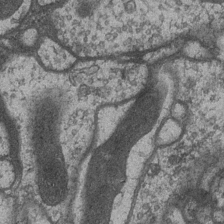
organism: Drosophila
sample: Optic medulla